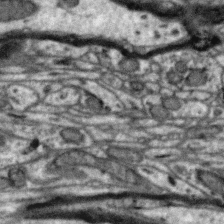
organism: Zebra finch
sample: Brain